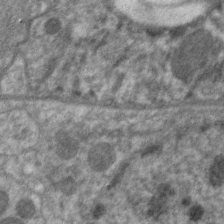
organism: C. elegans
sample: Pharynx